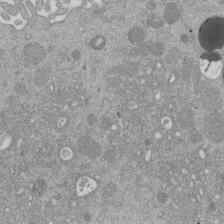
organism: Mouse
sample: Dividing mouse embryo 1 cell stage